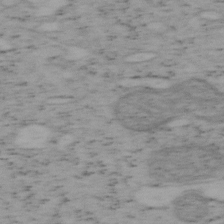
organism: Mouse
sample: OT-I killer T cells with ID8 ovarian cancer cells